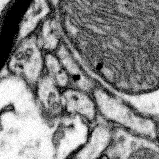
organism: Mouse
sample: Somatosensory cortex neuropil